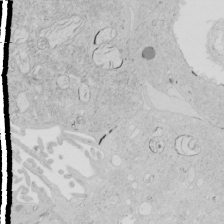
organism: Human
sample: Mitochondria in HCT116 cells